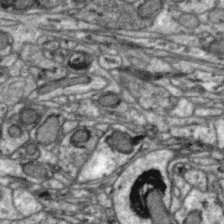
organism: Zebra finch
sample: Brain